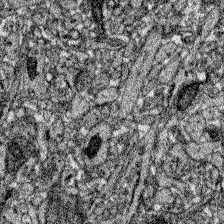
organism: Zebrafish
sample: Larval olfactory bulb